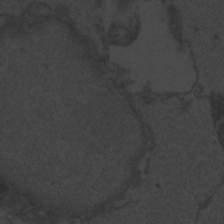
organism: Zebrafish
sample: Macrophage infected with Toxoplasma gondii